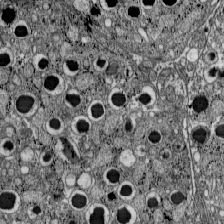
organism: C57BL Mouse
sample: Pancreatic islet